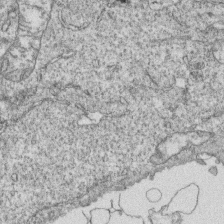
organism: Human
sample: HeLa cell HIV synapse